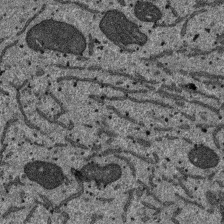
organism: Human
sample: Lung epithelial cells infected with SARS-CoV-2